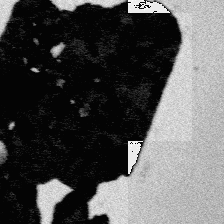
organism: Platynereis dumerilii